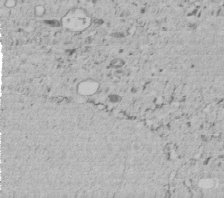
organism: C. elegans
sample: C. elegans embryo early stage